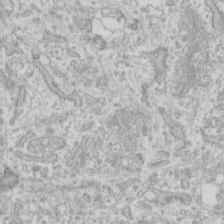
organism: Human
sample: Fibroblast cells